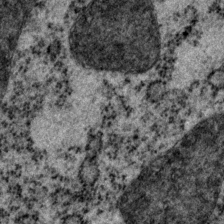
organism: P. pacificus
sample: Pharynx